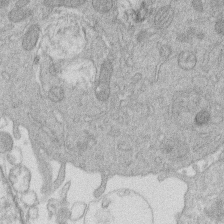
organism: Human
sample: Macrophage cells